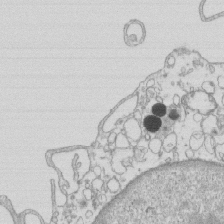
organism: Mouse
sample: Macrophages